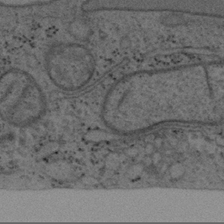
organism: Human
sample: HeLa cells